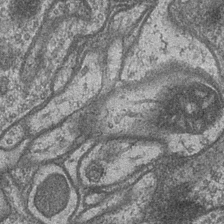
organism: Drosophila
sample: Optic medulla